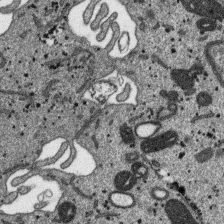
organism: Human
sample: Lung epithelial cells infected with SARS-CoV-2